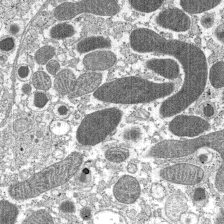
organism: C57BL Mouse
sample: Pancreatic islet